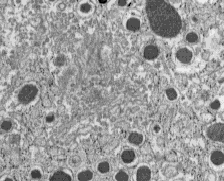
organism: C57BL Mouse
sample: Pancreatic islet